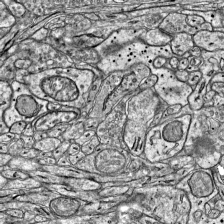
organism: Mouse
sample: Visual Cortex